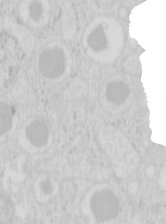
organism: Mouse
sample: Pancreas